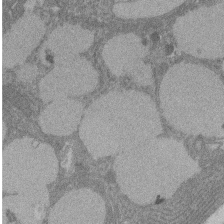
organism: Rat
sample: Salivary granule